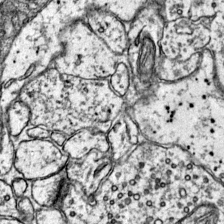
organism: Mouse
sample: Primary visual cortex